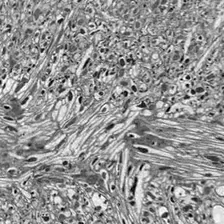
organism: Drosophila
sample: Optic lobe